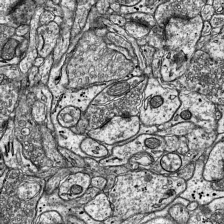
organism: Mouse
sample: Visual Cortex